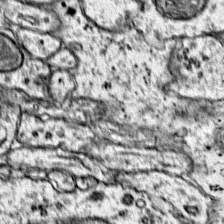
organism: Mouse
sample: Primary visual cortex